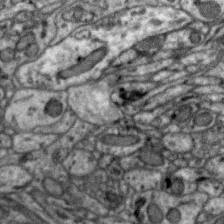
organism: Zebra finch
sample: Brain